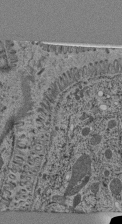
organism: C. elegans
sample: C. elegans pharynx